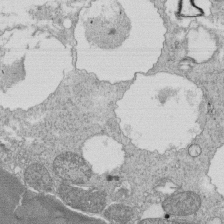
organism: Tetrahymena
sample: Cilia in tetrahymena